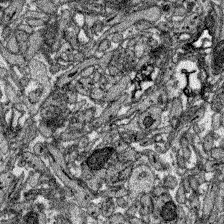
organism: Zebrafish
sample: Larval olfactory bulb